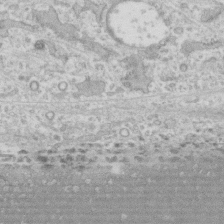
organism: Human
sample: CRL-1474